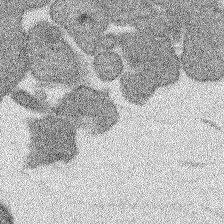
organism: Human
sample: HeLa cells